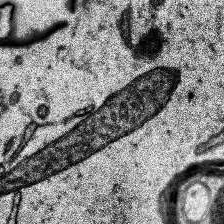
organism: Human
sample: Temporal Lobe